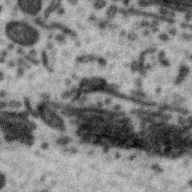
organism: Zebra finch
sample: Brain